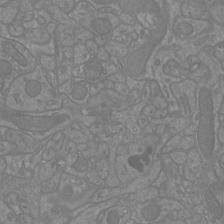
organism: Mouse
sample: Cortical neurons